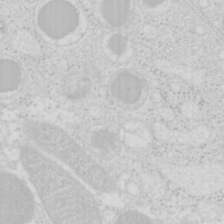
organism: Mouse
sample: Pancreas